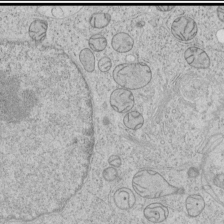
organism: Human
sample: Mitochondria in HCT116 cells